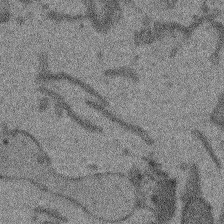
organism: Arabidopsis thaliana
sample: Root tip